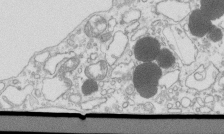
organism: Mouse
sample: Macrophages